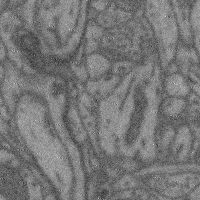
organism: Mouse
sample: Cerebral cortex